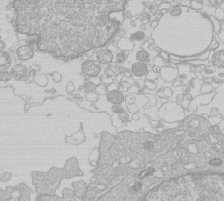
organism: Human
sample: Macrophage cells